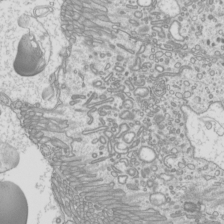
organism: Mouse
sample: Cilia; mouse epididymis